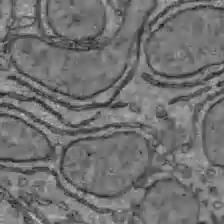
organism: C57BL Mouse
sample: Liver